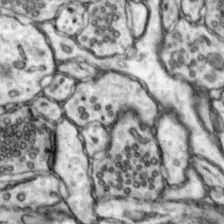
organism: Mouse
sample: Nucleus accumbens